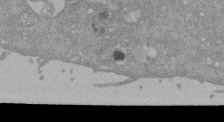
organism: Mouse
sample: ED-1 cell nuclei; centrioles